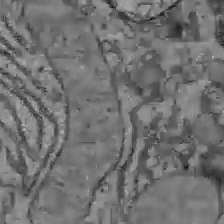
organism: C57BL Mouse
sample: Liver